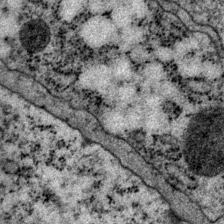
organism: P. pacificus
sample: Pharynx